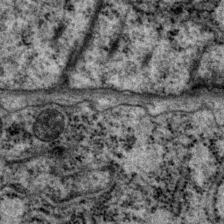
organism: P. pacificus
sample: Pharynx